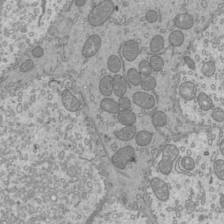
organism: Mouse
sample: Cilia; mouse epididymis